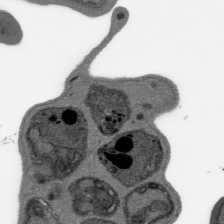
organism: Plasmodium falciparum